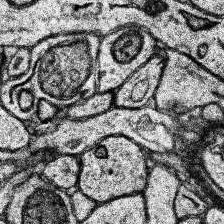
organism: Human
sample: Temporal Lobe